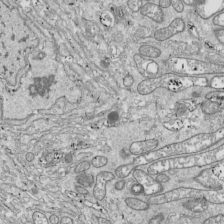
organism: Drosophila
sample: Cell division; meiosis; drosophila spermatocytes